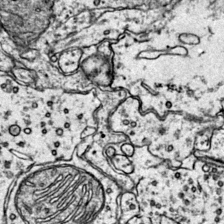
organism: Mouse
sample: Primary visual cortex